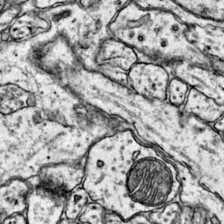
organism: Mouse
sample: Primary visual cortex